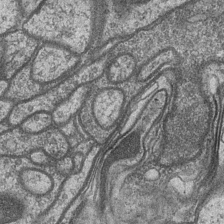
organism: Drosophila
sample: Optic medulla